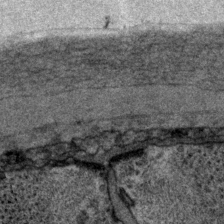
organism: P. pacificus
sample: Pharynx